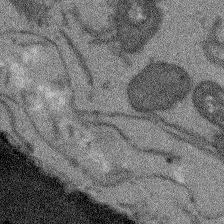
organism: Arabidopsis thaliana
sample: Root tip